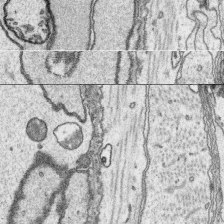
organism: Platynereis dumerilii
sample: Parapodia